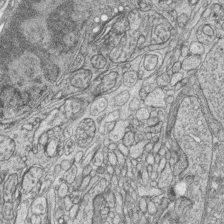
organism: Zebrafish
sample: synaptic ribbons in rod cells and cone cells